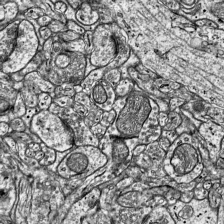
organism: Mouse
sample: Visual Cortex